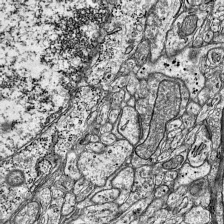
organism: Mouse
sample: Visual Cortex